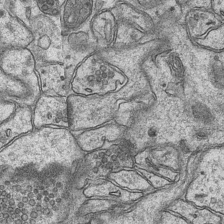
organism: Mouse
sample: CA1 Hippocampus